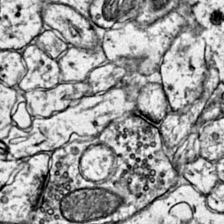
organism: Mouse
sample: Primary visual cortex